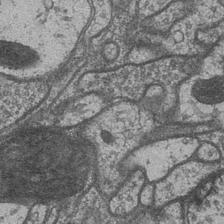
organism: Drosophila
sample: Optic medulla